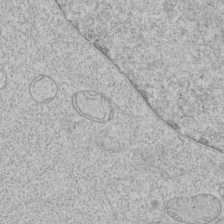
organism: Human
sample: Mitochondria in HCT116 cells